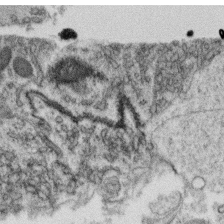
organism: C. elegans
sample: C. elegans oocyte; sperm cells